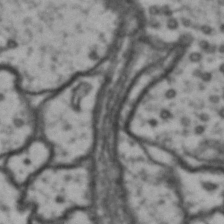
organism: Drosophila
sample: Brain